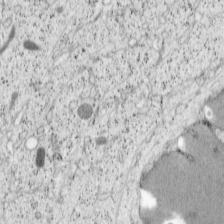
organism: African green monkey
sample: COS-7 cells